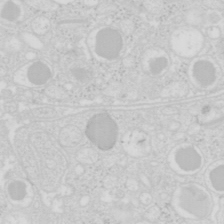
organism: Mouse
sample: Pancreas